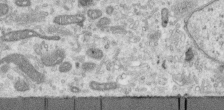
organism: Human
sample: Centriole in RPE cells